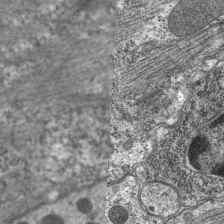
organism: C. elegans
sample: Pharynx